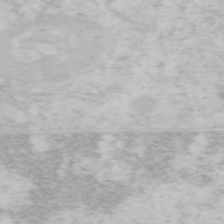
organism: Mouse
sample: OT-I killer T cells with ID8 ovarian cancer cells